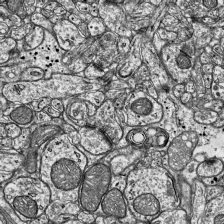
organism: Mouse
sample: Visual Cortex